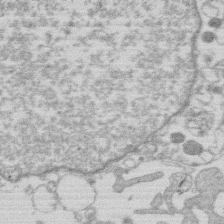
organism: Human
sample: Macrophage cells